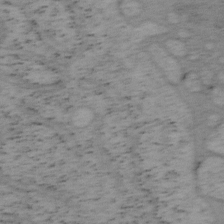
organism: Mouse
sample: OT-I killer T cells with ID8 ovarian cancer cells